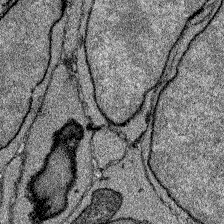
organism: Zebrafish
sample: Larval olfactory bulb